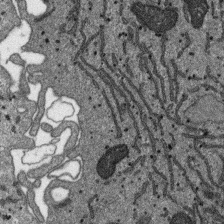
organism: Human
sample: Lung epithelial cells infected with SARS-CoV-2